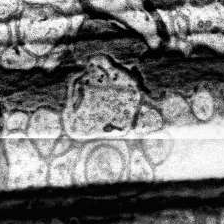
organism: Human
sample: Temporal Lobe